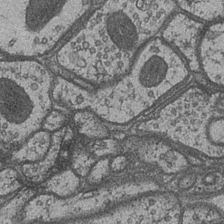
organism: Drosophila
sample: Optic medulla